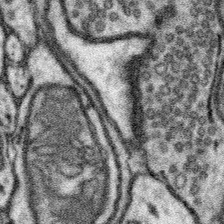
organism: Mouse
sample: Somatosensory cortex neuropil